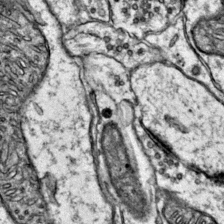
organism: Mouse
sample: Primary visual cortex